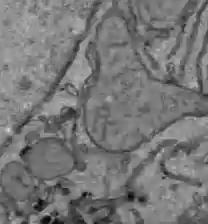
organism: C57BL Mouse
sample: Liver